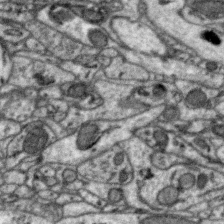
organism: Zebra finch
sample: Brain